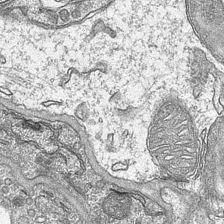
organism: Mouse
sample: CA1 Hippocampus